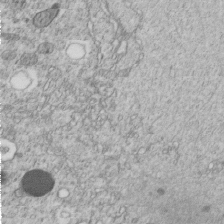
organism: C. elegans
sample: C. elegans embryo early stage